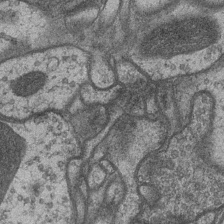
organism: Drosophila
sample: Optic medulla